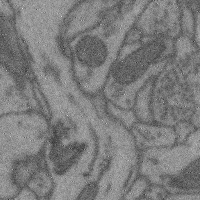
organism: Mouse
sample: Cerebral cortex